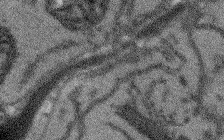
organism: Arabidopsis thaliana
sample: Root tip